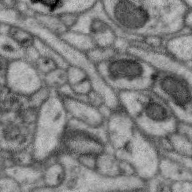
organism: Zebra finch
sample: Brain